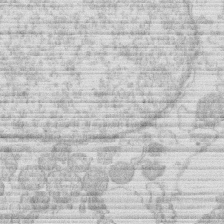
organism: Human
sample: Macrophage cells